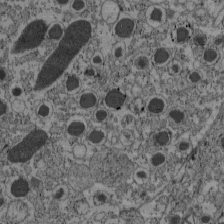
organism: C57BL Mouse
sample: Pancreatic islet